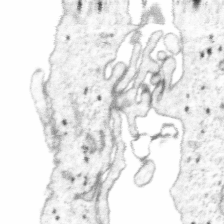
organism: Human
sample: HeLa cells